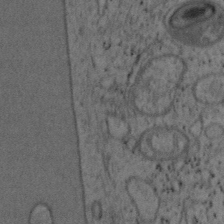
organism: Human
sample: HeLa cells